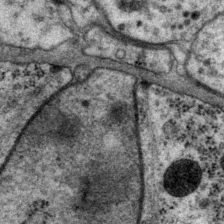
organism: P. pacificus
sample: Pharynx